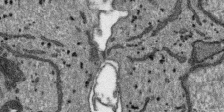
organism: Human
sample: Lung epithelial cells, uninfected (mock) control